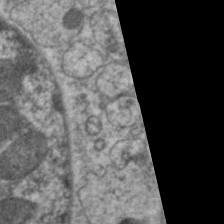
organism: C. elegans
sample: Pharynx